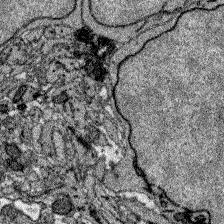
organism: Zebrafish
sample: Larval olfactory bulb